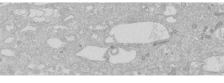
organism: Human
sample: Caco-2 cells